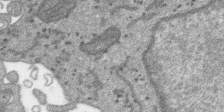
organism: Human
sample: Lung epithelial cells infected with SARS-CoV-2